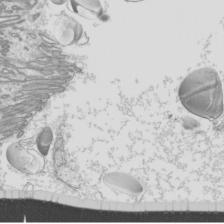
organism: Mouse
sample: Cilia; mouse epididymis